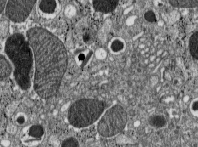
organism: C57BL Mouse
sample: Pancreatic islet